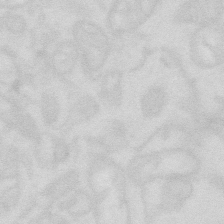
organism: Human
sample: HeLa cells